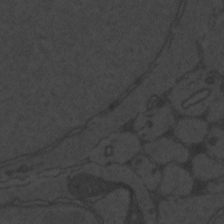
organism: Zebrafish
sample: Macrophage infected with Toxoplasma gondii